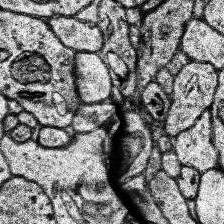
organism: Human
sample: Temporal Lobe